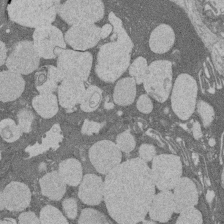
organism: Rat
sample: Salivary granule